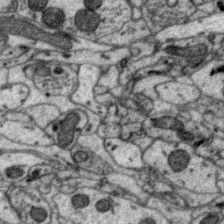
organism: Zebra finch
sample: Brain